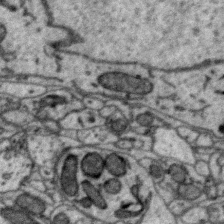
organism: Zebra finch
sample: Brain